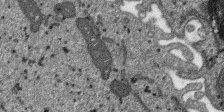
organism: Human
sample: Lung epithelial cells infected with SARS-CoV-2